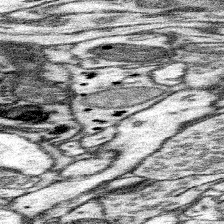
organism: Mouse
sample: Somatosensory cortex neuropil